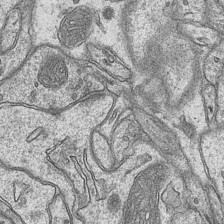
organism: Mouse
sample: CA1 Hippocampus